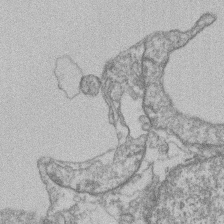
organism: Mouse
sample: T cell stromal cell synapse